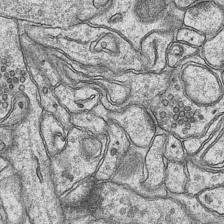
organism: Mouse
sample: CA1 Hippocampus